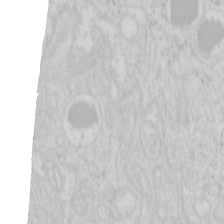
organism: Mouse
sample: Pancreas